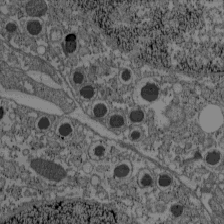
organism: C57BL Mouse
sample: Pancreatic islet